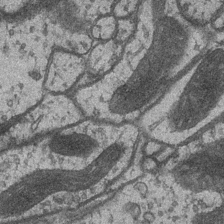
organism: Drosophila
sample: Optic medulla